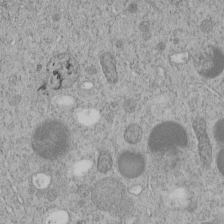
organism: C. elegans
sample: C. elegans embryo early stage